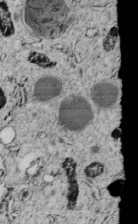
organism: C. elegans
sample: C. elegans embryo early stage